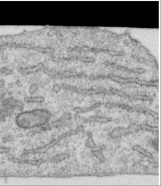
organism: Human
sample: Centriole in RPE cells